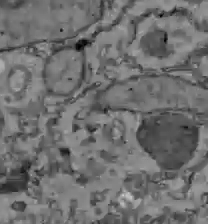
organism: C57BL Mouse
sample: Liver